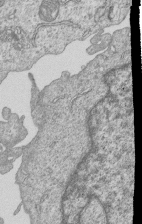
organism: Human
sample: MDA-MB-231 cells